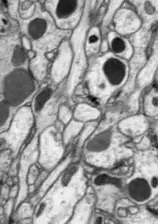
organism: Drosophila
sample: Optic lobe